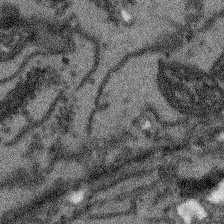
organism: Arabidopsis thaliana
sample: Root tip